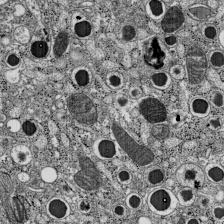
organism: C57BL Mouse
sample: Pancreatic islet